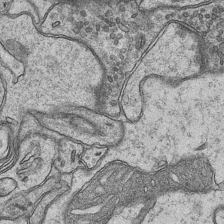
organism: Mouse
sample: CA1 Hippocampus